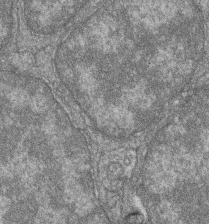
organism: Zebrafish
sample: Cilia; retinal pigment epithelium